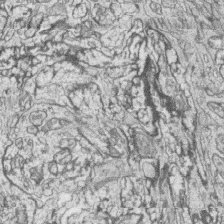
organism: Zebrafish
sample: synaptic ribbons in rod cells and cone cells